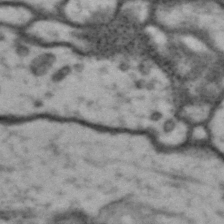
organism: Drosophila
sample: Brain